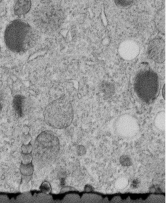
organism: C. elegans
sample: C. elegans embryo early stage